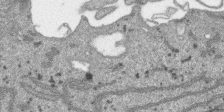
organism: Human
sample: Lung epithelial cells infected with SARS-CoV-2